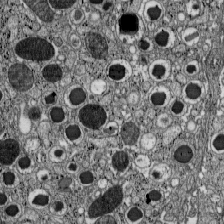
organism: C57BL Mouse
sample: Pancreatic islet